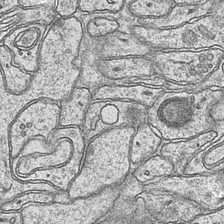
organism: Mouse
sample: CA1 Hippocampus